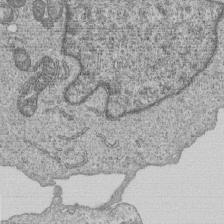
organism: Human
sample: MDA-MB-231 cells